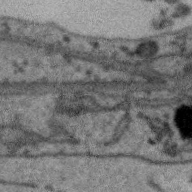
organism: Zebra finch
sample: Brain